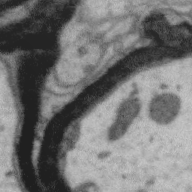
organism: Zebra finch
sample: Brain